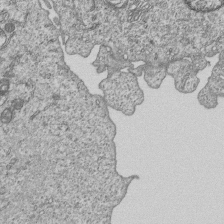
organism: Human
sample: MDA-MB-231 cells